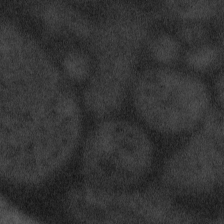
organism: Tuwongella immobilis